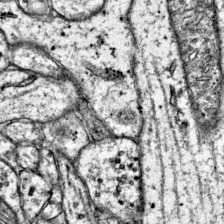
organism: Mouse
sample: Primary visual cortex